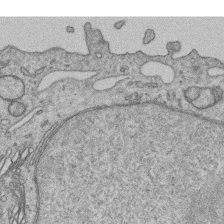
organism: Human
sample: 1205lu cells